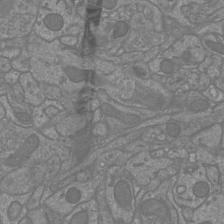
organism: Mouse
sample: Cortical neurons